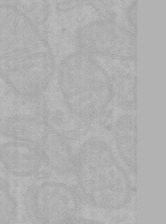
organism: Mouse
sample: Choroid plexus